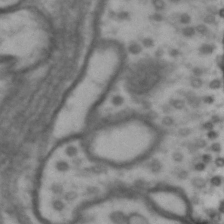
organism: Drosophila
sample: Brain